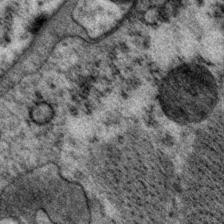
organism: P. pacificus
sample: Pharynx